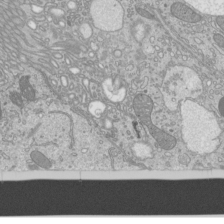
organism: Mouse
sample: Cilia; mouse epididymis